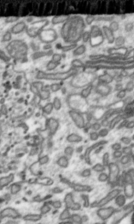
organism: Toxoplasma gondii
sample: Parasites in a vacuole inside a host cell